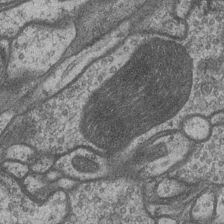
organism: Drosophila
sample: Optic medulla